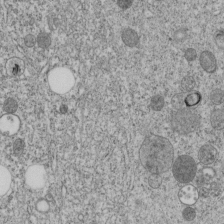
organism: C. elegans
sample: C. elegans embryo early stage